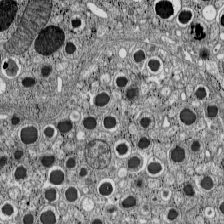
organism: C57BL Mouse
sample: Pancreatic islet